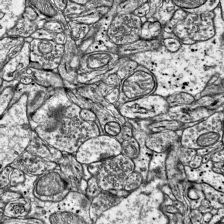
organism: Mouse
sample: Visual Cortex